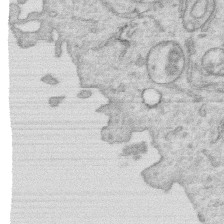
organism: Human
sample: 1205lu cells